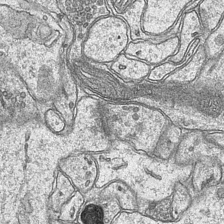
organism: Mouse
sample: CA1 Hippocampus